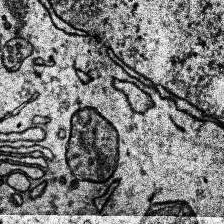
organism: Human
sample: Temporal Lobe